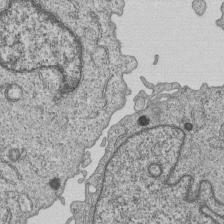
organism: Human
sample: MDA-MB-231 cells